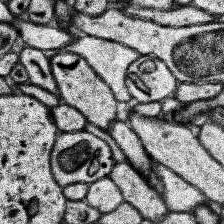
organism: Human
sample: Temporal Lobe